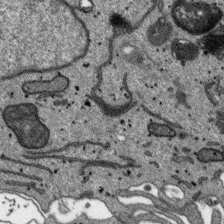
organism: Human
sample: Lung epithelial cells, uninfected (mock) control